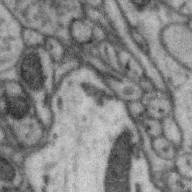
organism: Zebra finch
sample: Brain